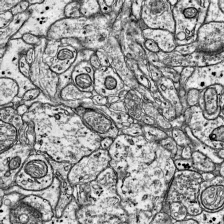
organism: Mouse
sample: Visual Cortex